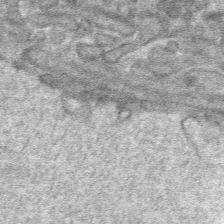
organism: Mouse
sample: Mouse hepatocytes